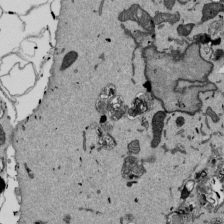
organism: Mouse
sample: ED-1 cell nuclei; centrioles